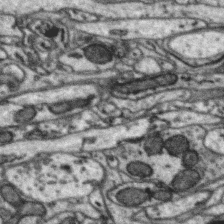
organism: Zebra finch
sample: Brain